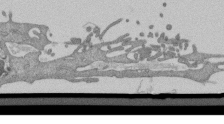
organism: Mouse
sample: ED-1 cell nuclei; centrioles